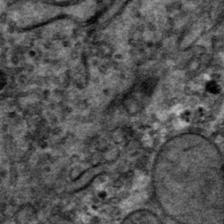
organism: Mouse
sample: Mouse hepatocytes